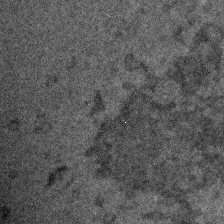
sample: Trachea